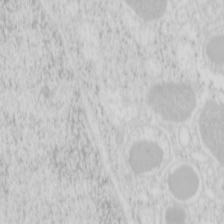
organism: Mouse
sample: Pancreas